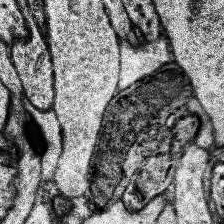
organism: Human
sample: Temporal Lobe